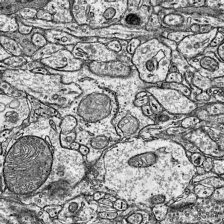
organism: Mouse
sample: Visual Cortex